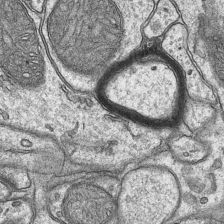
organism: Mouse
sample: CA1 Hippocampus